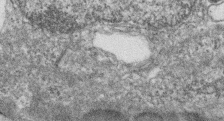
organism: Zebrafish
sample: Cilia; retinal pigment epithelium